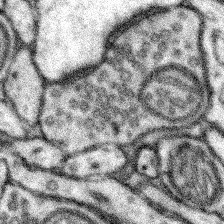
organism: Mouse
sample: Somatosensory cortex neuropil